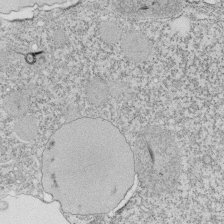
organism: Tetrahymena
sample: Cilia in tetrahymena